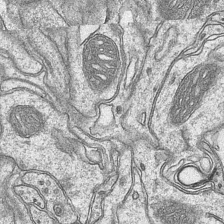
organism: Mouse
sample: CA1 Hippocampus